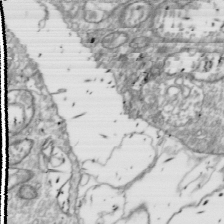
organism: Drosophila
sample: Cell division; meiosis; drosophila spermatocytes